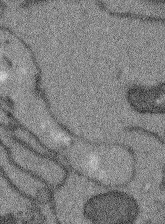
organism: Arabidopsis thaliana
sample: Root tip